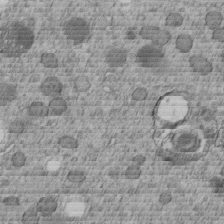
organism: C. elegans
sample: C. elegans embryo early stage